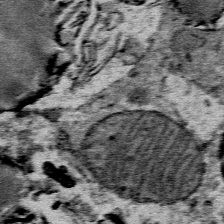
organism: Mouse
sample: Mouse Salivary gland